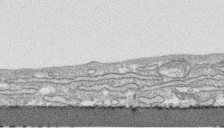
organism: Human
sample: CRL-1474